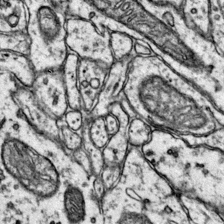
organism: Mouse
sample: Primary visual cortex